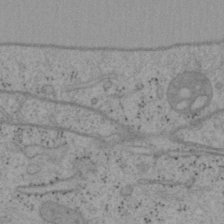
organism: Human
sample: HeLa cells